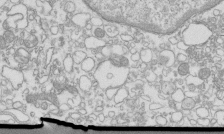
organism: Mouse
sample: Macrophages